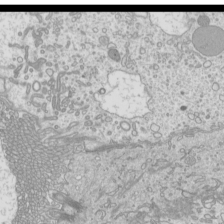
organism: Mouse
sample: Cilia; mouse epididymis